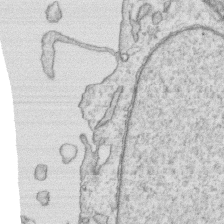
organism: Human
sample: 1205lu cells